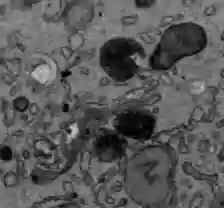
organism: C57BL Mouse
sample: Liver